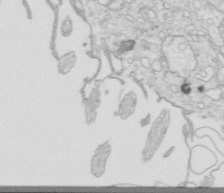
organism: Mouse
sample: Multiciliated cells